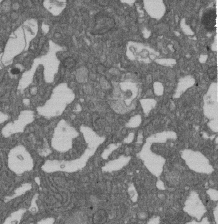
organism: Drosophila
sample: Nephrocyte